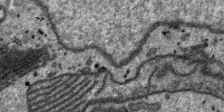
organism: Human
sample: Lung epithelial cells, uninfected (mock) control